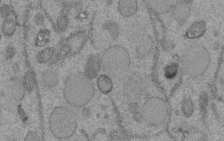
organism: C. elegans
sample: C. elegans embryo early stage